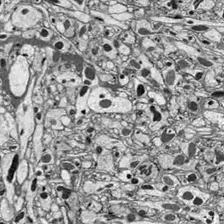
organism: Drosophila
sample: Optic lobe